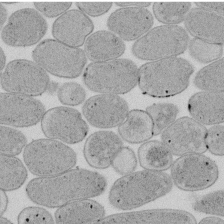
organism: E. coli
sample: Bacterial nucleoid